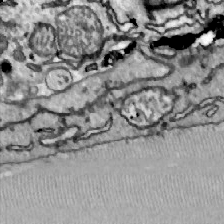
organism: Zebrafish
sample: Actinotrichia fibers